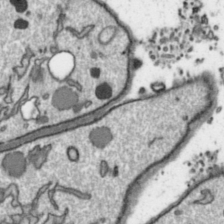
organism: Toxoplasma gondii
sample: Parasites in a vacuole inside a host cell